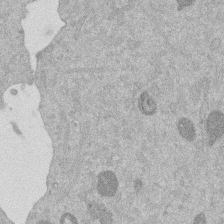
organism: Mouse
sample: Dividing mouse embryo 1 cell stage